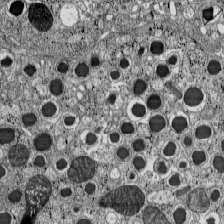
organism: C57BL Mouse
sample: Pancreatic islet